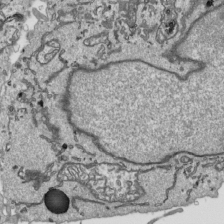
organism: Human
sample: Mitochondria in HCT116 cells